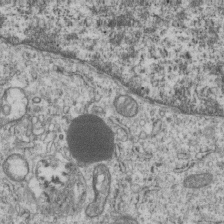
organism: Human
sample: MDA-MB-231 cells